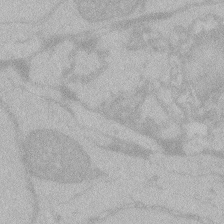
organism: Zebrafish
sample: Macrophage infected with Toxoplasma gondii